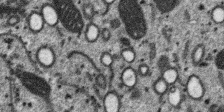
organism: Human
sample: Lung epithelial cells infected with SARS-CoV-2